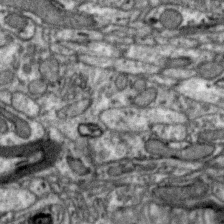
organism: Zebra finch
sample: Brain